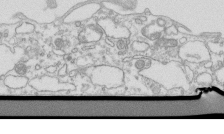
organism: Mouse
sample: Macrophages